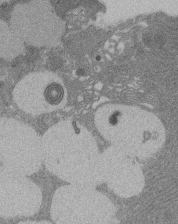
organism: Rat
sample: Salivary granule